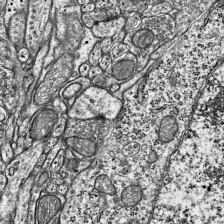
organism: Mouse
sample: Visual Cortex